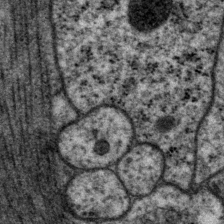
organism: P. pacificus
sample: Pharynx